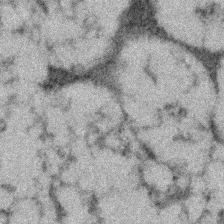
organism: Human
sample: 1205lu cells